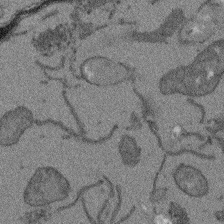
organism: Arabidopsis thaliana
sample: Root tip